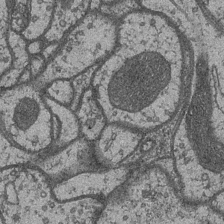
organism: Drosophila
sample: Optic medulla